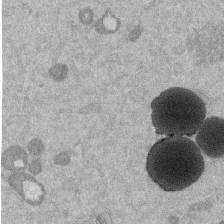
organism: Mouse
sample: Dividing mouse embryo 1 cell stage